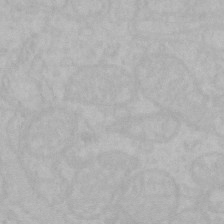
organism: Mouse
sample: Choroid plexus